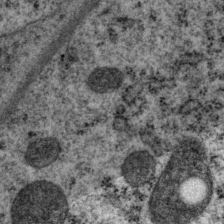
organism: P. pacificus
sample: Pharynx